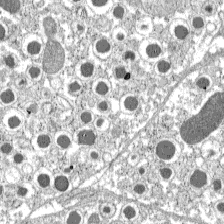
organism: C57BL Mouse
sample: Pancreatic islet